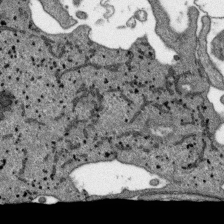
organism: Human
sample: Lung epithelial cells, uninfected (mock) control